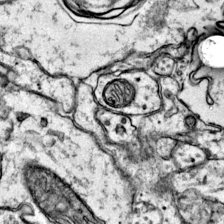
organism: Mouse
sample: Primary visual cortex